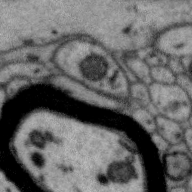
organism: Zebra finch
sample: Brain